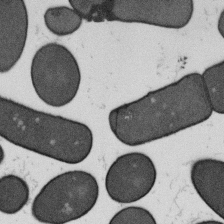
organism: B. subtilis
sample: Bacterial spore